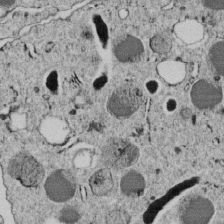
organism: C. elegans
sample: C. elegans embryo early stage